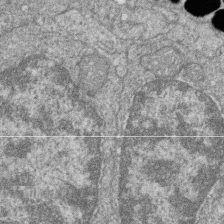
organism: Zebrafish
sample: Cilia; retinal pigment epithelium